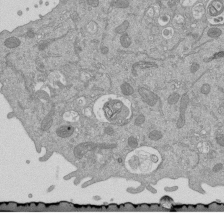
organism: Mouse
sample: ED-1 cell nuclei; centrioles